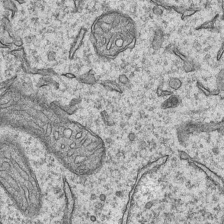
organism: Mouse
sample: CA1 Hippocampus